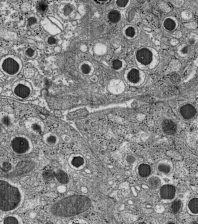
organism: C57BL Mouse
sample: Pancreatic islet